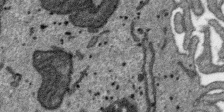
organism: Human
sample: Lung epithelial cells, uninfected (mock) control